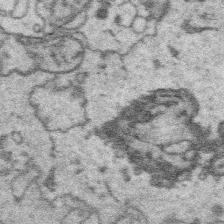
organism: Platynereis dumerilii